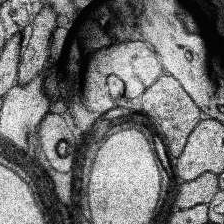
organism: Human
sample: Temporal Lobe